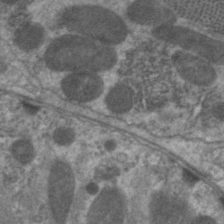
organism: C. elegans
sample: Pharynx